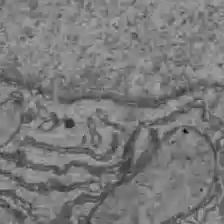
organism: C57BL Mouse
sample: Liver